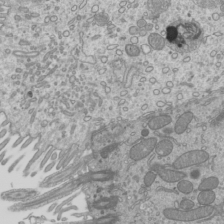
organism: Mouse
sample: Cilia; mouse epididymis